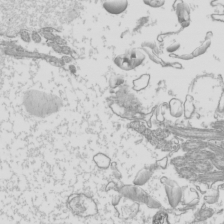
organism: Mouse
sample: Cilia; mouse epididymis